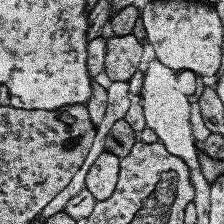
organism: Human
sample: Temporal Lobe